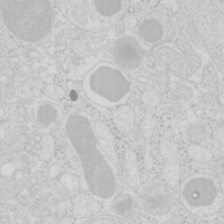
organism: Mouse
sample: Pancreas